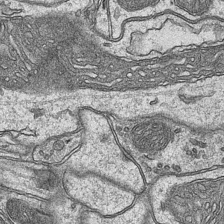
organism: Mouse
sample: CA1 Hippocampus